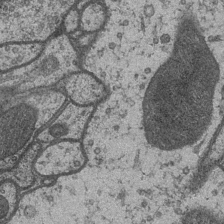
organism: Drosophila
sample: Optic medulla